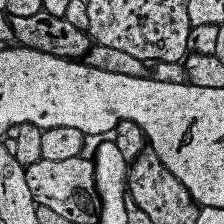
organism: Human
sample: Temporal Lobe